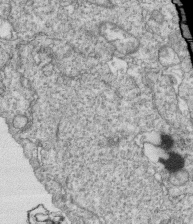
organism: Human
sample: HeLa cell HIV synapse